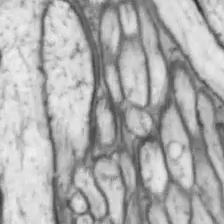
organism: Drosophila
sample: Optic lobe